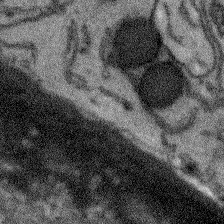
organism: Arabidopsis thaliana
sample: Root tip